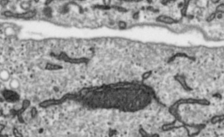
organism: Toxoplasma gondii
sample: Parasites in a vacuole inside a host cell